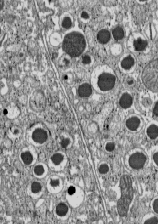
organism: C57BL Mouse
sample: Pancreatic islet